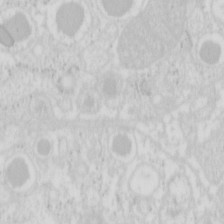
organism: Mouse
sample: Pancreas